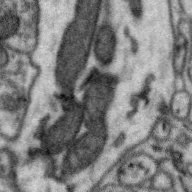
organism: Zebra finch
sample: Brain